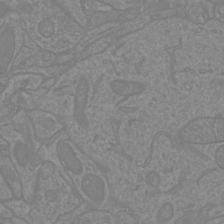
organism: Mouse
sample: Cortical neurons